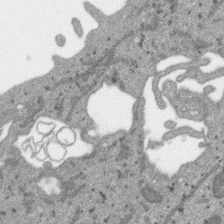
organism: Human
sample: Lung epithelial cells infected with SARS-CoV-2